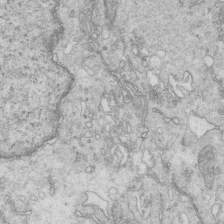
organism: Mouse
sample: Multiciliated cells